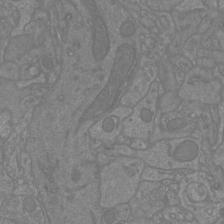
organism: Mouse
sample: Cortical neurons